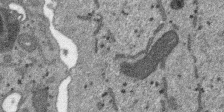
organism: Human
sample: Lung epithelial cells infected with SARS-CoV-2